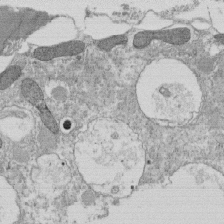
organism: Tetrahymena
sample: Cilia in tetrahymena